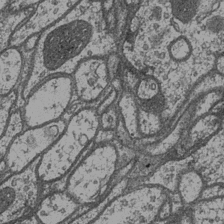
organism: Drosophila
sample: Optic medulla